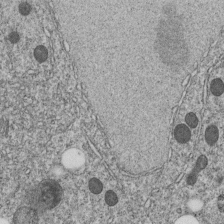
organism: C. elegans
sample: C. elegans embryo early stage